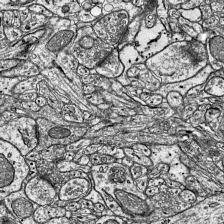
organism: Mouse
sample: Visual Cortex